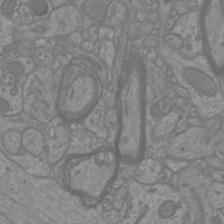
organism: Mouse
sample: Cortical neurons